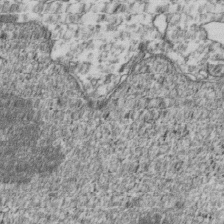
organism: Human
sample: Activated Jurkat CD4+ T cells